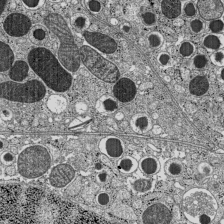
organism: C57BL Mouse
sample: Pancreatic islet